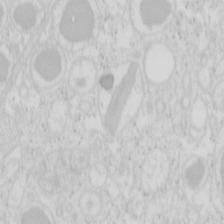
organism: Mouse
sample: Pancreas